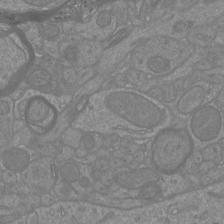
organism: Mouse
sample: Cortical neurons